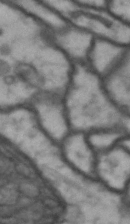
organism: Drosophila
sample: Brain